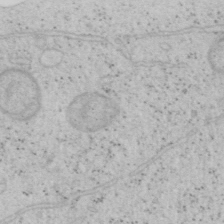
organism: Human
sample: HeLa cells